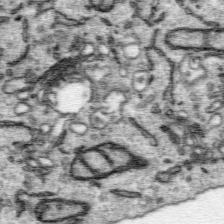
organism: Human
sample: HeLa cells